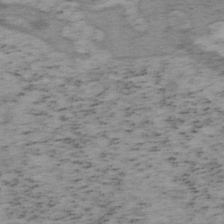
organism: Mouse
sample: OT-I killer T cells with ID8 ovarian cancer cells